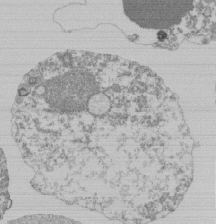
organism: Mouse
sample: Activated Pmel transgenic CD8+ T Cells